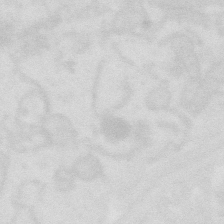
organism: Human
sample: HeLa cells